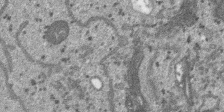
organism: Human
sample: Lung epithelial cells infected with SARS-CoV-2